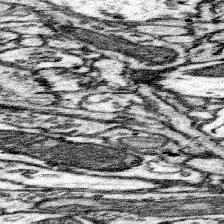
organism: Mouse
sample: Somatosensory cortex neuropil